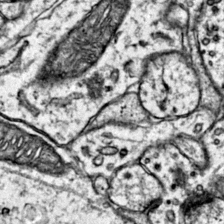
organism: Mouse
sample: Primary visual cortex